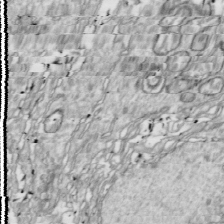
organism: Drosophila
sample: Cell division; meiosis; drosophila spermatocytes